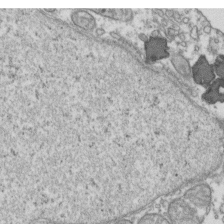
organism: Human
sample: Activated Jurkat CD4+ T cells